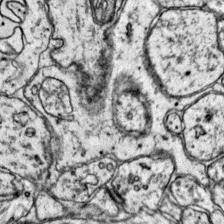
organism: Mouse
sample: Primary visual cortex